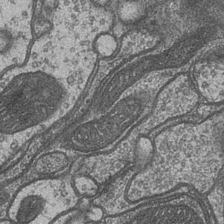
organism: Drosophila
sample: Optic medulla